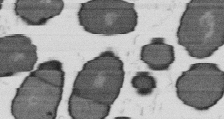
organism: B. subtilis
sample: Bacterial spore